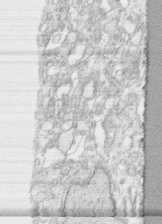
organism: Human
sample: CRL-1474